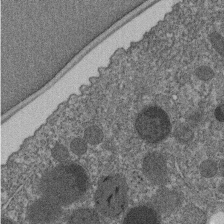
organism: C. elegans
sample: C. elegans embryo early stage